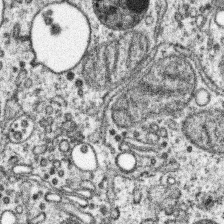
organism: Human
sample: HeLa cells